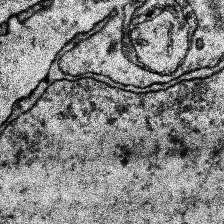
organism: Human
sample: Temporal Lobe